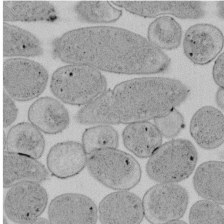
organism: E. coli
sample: Bacterial nucleoid